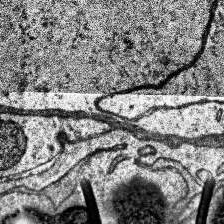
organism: Human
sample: Temporal Lobe